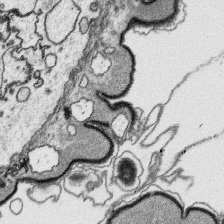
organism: Platynereis dumerilii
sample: Parapodia